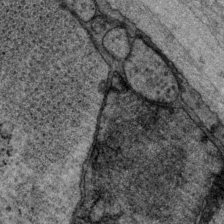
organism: P. pacificus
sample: Pharynx